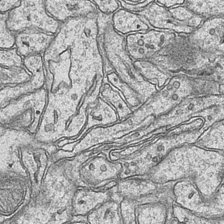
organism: Mouse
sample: CA1 Hippocampus